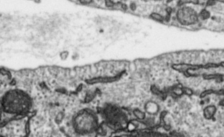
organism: Toxoplasma gondii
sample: Parasites in a vacuole inside a host cell